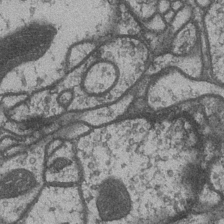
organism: Drosophila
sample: Optic medulla